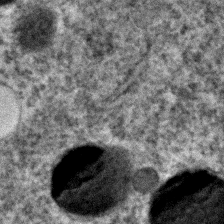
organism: C. elegans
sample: C. elegans embryo